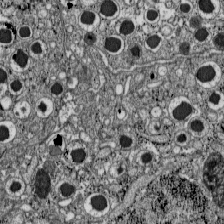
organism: C57BL Mouse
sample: Pancreatic islet